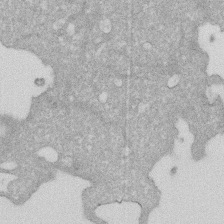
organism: Human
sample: HIV infected U937 cells